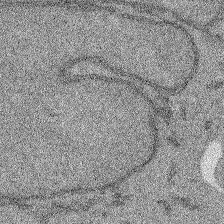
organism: Human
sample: HeLa cells